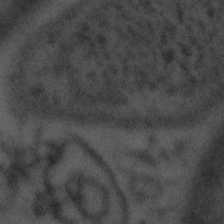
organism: Tuwongella immobilis